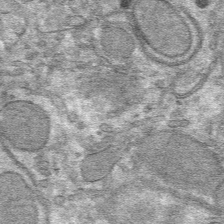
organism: Mouse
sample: Mouse hepatocytes